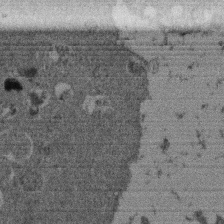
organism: Mouse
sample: Dividing mouse embryo 1 cell stage